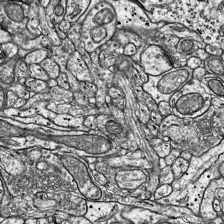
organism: Mouse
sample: Visual Cortex